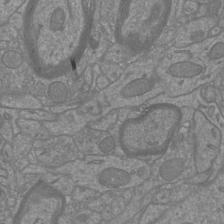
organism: Mouse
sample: Cortical neurons